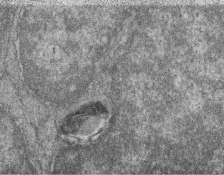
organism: Zebrafish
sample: Cilia; retinal pigment epithelium